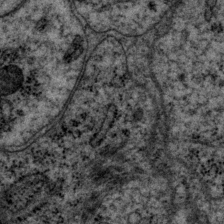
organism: P. pacificus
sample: Pharynx